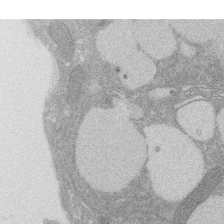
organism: Rat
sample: Salivary granule